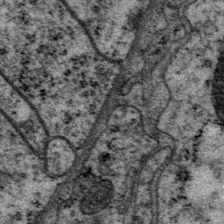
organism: P. pacificus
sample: Pharynx